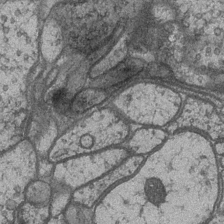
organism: Drosophila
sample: Optic medulla